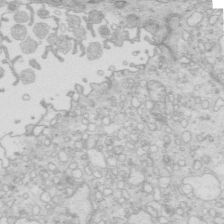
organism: Mouse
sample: Multiciliated cells